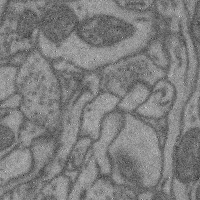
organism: Mouse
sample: Cerebral cortex